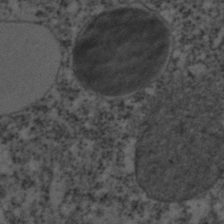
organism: C. elegans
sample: C. elegans embryo